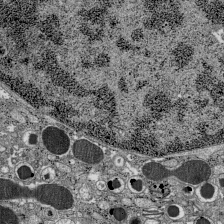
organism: C57BL Mouse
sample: Pancreatic islet